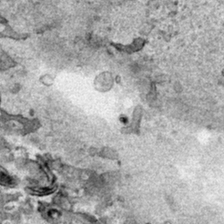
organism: Human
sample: Mitochondria in HCT116 cells